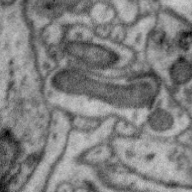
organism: Zebra finch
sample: Brain